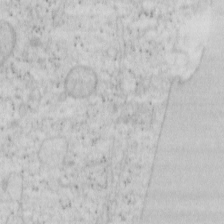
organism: Human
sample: HeLa cells